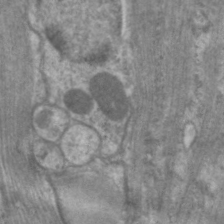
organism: C. elegans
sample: Pharynx